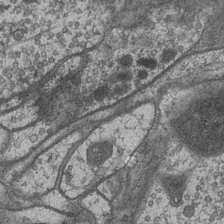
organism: Drosophila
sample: Optic medulla